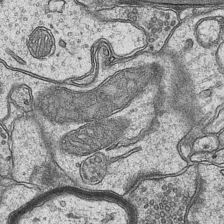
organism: Mouse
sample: CA1 Hippocampus